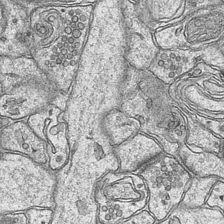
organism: Mouse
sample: CA1 Hippocampus